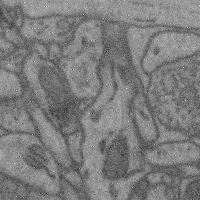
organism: Mouse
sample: Cerebral cortex